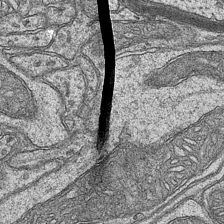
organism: Mouse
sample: CA1 Hippocampus